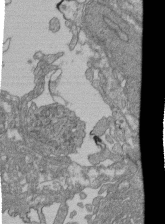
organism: Human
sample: Retinal organoid Rod and Cone cells